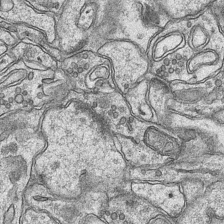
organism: Mouse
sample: CA1 Hippocampus